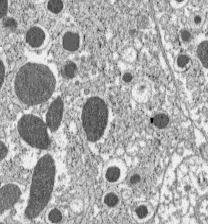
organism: C57BL Mouse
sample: Pancreatic islet